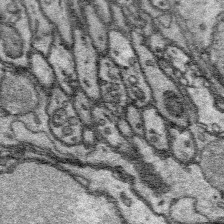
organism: Platynereis dumerilii